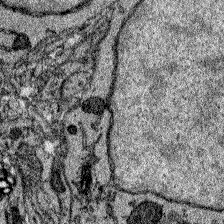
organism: Zebrafish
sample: Larval olfactory bulb